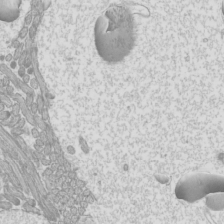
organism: Mouse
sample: Cilia; mouse epididymis